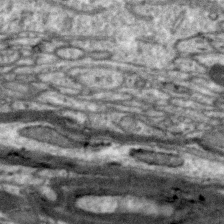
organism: Zebra finch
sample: Brain